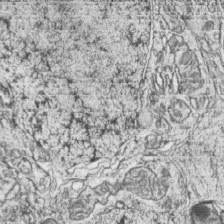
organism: Zebrafish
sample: synaptic ribbons in rod cells and cone cells